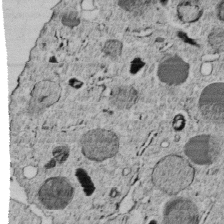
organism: C. elegans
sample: C. elegans embryo early stage